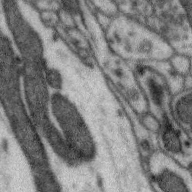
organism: Zebra finch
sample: Brain